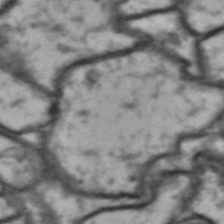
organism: Drosophila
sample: Brain